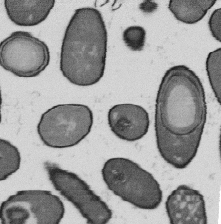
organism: B. subtilis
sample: Bacterial spore